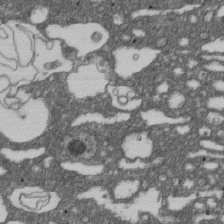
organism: Drosophila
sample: Nephrocyte